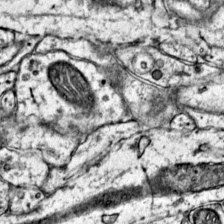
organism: Mouse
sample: Primary visual cortex